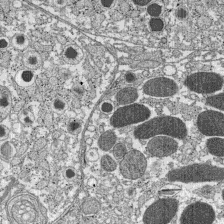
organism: C57BL Mouse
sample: Pancreatic islet